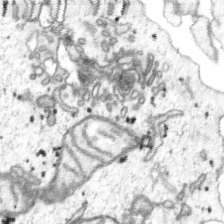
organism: Human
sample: HeLa cells